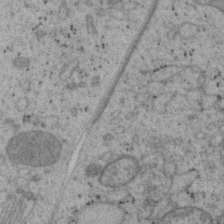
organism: Human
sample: HeLa cells